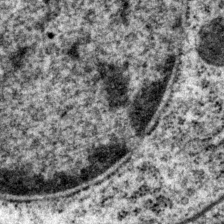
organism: P. pacificus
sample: Pharynx